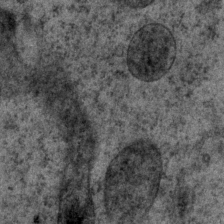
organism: P. pacificus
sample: Pharynx